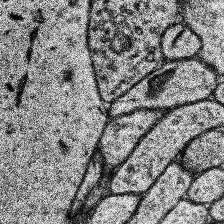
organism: Human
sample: Temporal Lobe